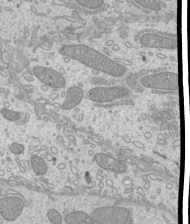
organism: Mouse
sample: Cilia; mouse epididymis